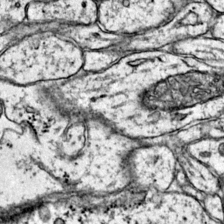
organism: Mouse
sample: Primary visual cortex